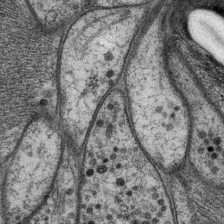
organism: P. pacificus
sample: Pharynx